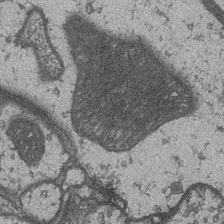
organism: Drosophila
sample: Optic medulla